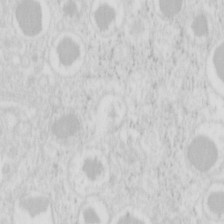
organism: Mouse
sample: Pancreas